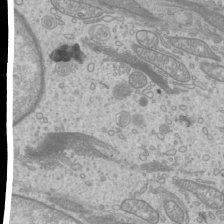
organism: Mouse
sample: Cilia; mouse epididymis